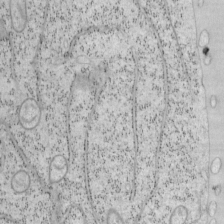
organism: Mouse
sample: OT-I killer T cells with ID8 ovarian cancer cells